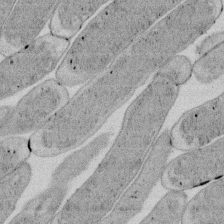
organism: E. coli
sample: Bacterial nucleoid